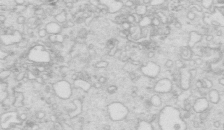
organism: Mouse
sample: Multiciliated cells